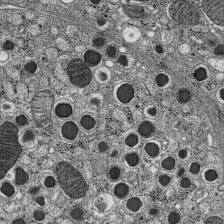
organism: C57BL Mouse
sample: Pancreatic islet